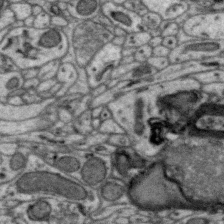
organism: Zebra finch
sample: Brain